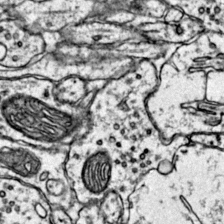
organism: Mouse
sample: Primary visual cortex